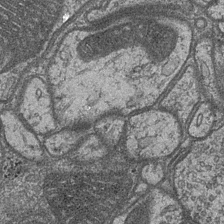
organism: Drosophila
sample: Optic medulla